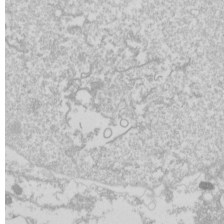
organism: Drosophila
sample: Cell division; meiosis; drosophila spermatocytes